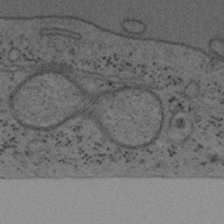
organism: Human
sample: HeLa cells